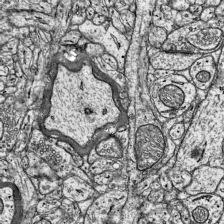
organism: Mouse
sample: Visual Cortex